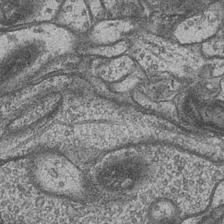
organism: Drosophila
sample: Optic medulla